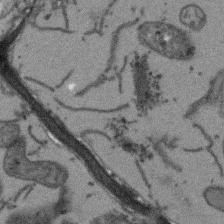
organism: Arabidopsis thaliana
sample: Root tip